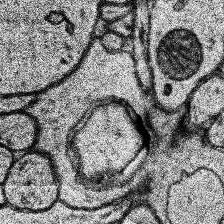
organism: Human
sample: Temporal Lobe